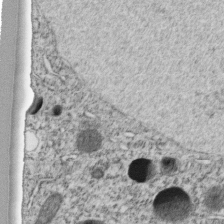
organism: C. elegans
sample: C. elegans embryo early stage